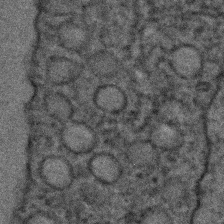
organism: C. elegans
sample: C. elegans embryo